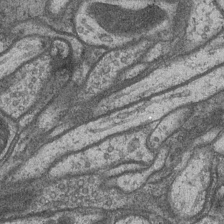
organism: Drosophila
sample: Optic medulla